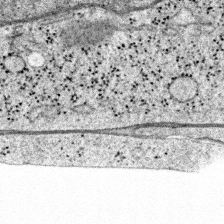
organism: Human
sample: HeLa cells